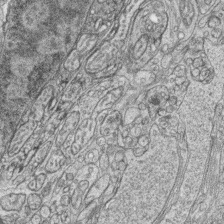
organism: Zebrafish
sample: synaptic ribbons in rod cells and cone cells